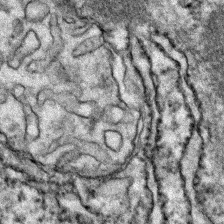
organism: Zebrafish